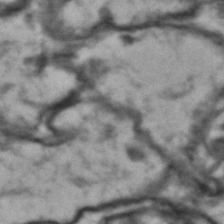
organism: Drosophila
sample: Brain